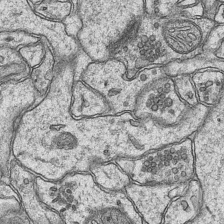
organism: Mouse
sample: CA1 Hippocampus